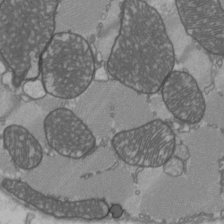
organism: C57BL Mouse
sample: Heart